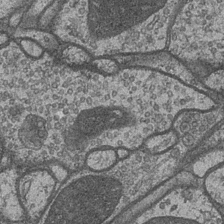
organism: Drosophila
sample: Optic medulla